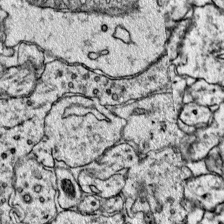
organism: Mouse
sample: Primary visual cortex